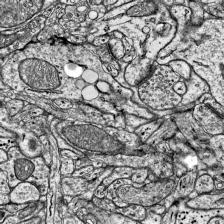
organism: Mouse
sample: Visual Cortex